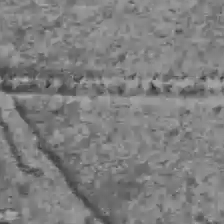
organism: C57BL Mouse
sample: Liver